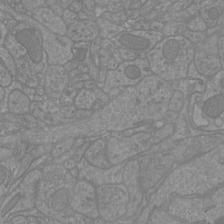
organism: Mouse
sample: Cortical neurons